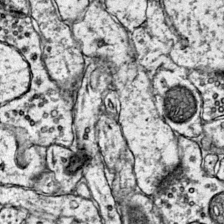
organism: Mouse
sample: Primary visual cortex